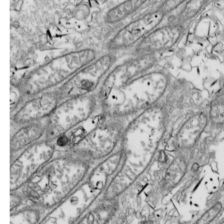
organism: Drosophila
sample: Cell division; meiosis; drosophila spermatocytes